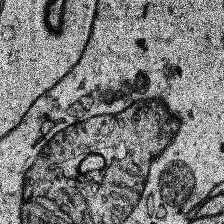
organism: Human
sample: Temporal Lobe